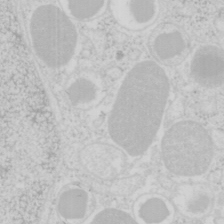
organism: Mouse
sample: Pancreas